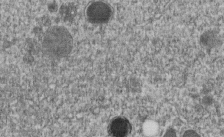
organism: C. elegans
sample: C. elegans embryo early stage